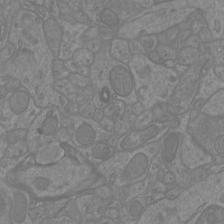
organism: Mouse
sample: Cortical neurons